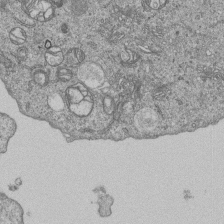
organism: Human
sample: MDA-MB-231 cells